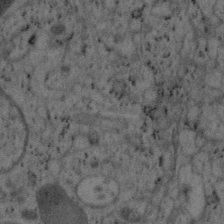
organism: Human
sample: HeLa cells